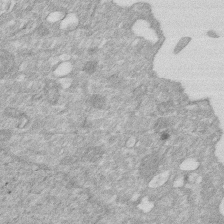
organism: Human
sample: HIV infected U937 cells